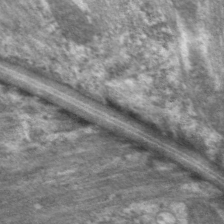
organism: C. elegans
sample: Pharynx